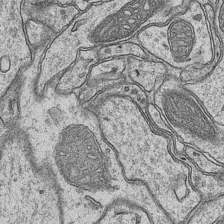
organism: Mouse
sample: CA1 Hippocampus